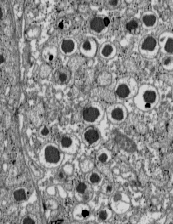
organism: C57BL Mouse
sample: Pancreatic islet